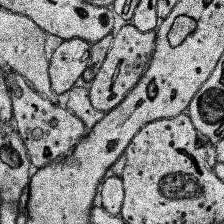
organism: Human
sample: Temporal Lobe